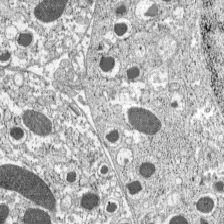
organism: C57BL Mouse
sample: Pancreatic islet